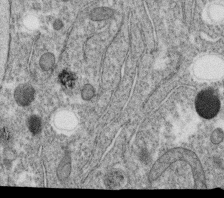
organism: C. elegans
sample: C. elegans oocyte; sperm cells